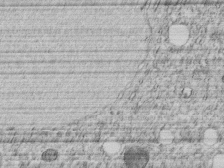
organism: C. elegans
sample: C. elegans embryo early stage